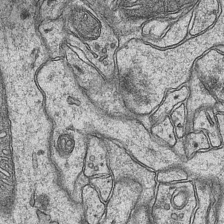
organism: Mouse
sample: CA1 Hippocampus